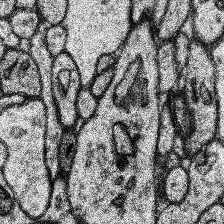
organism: Human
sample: Temporal Lobe